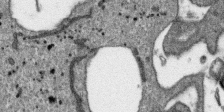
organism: Human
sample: Lung epithelial cells, uninfected (mock) control